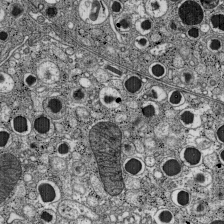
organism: C57BL Mouse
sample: Pancreatic islet